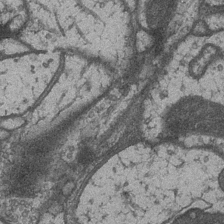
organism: Drosophila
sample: Optic medulla